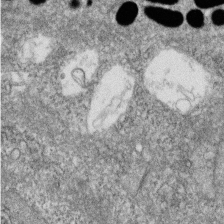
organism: Zebrafish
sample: Cilia; retinal pigment epithelium